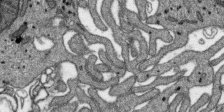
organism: Human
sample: Lung epithelial cells, uninfected (mock) control